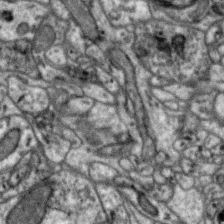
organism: Zebra finch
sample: Brain